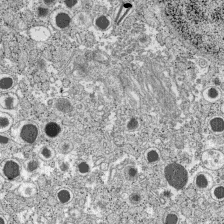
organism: C57BL Mouse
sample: Pancreatic islet